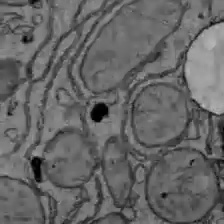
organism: C57BL Mouse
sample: Liver